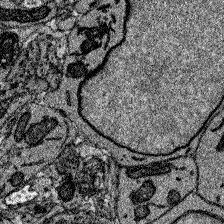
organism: Zebrafish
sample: Larval olfactory bulb